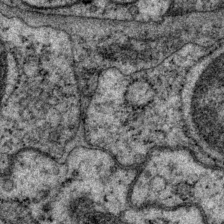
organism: P. pacificus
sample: Pharynx